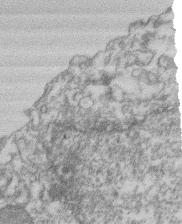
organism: Mouse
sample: T cell stromal cell synapse